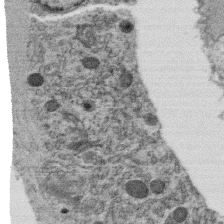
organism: C. elegans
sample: C. elegans oocyte; sperm cells